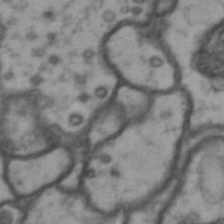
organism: Drosophila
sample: Brain